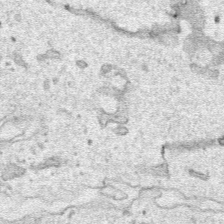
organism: Human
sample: Mitochondria in HCT116 cells